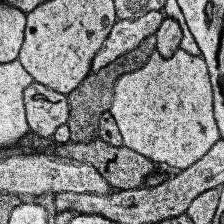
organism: Human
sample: Temporal Lobe